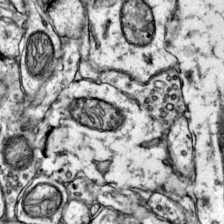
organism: Mouse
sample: Primary visual cortex